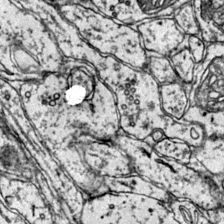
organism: Mouse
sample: Primary visual cortex